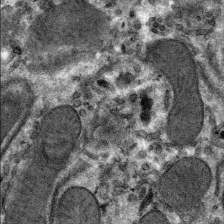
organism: Mouse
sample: Mouse hepatocytes